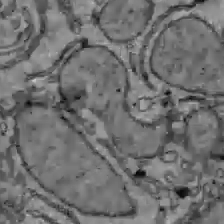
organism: C57BL Mouse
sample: Liver